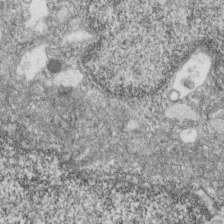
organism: Zebrafish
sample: Cilia; retinal pigment epithelium